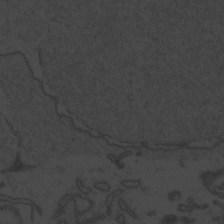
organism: Zebrafish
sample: Macrophage infected with Toxoplasma gondii